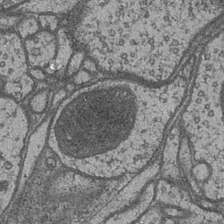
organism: Drosophila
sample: Optic medulla